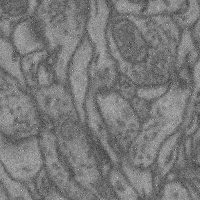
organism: Mouse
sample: Cerebral cortex